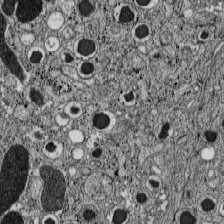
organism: C57BL Mouse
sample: Pancreatic islet